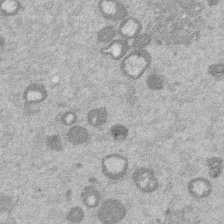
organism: Mouse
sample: Dividing mouse embryo 1 cell stage